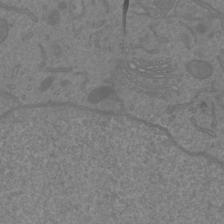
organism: Mouse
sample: Cortical neurons